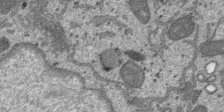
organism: Human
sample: Lung epithelial cells infected with SARS-CoV-2